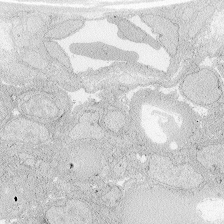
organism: Zebrafish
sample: Whole-Brain